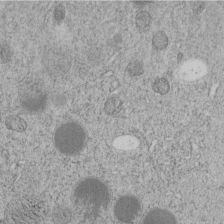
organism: C. elegans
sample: C. elegans embryo early stage